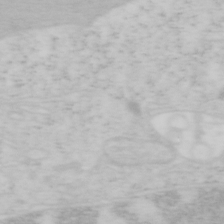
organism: Mouse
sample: OT-I killer T cells with ID8 ovarian cancer cells